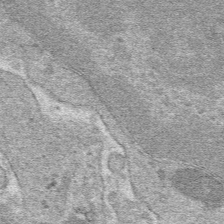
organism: Mouse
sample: Mouse hepatocytes